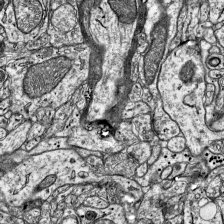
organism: Mouse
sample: Visual Cortex